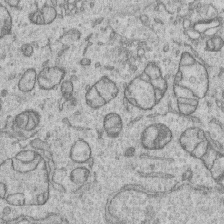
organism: Human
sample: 1205lu cells